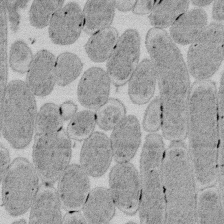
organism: E. coli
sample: Bacterial nucleoid